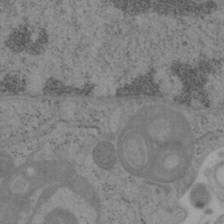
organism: Mouse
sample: OT-I killer T cells with ID8 ovarian cancer cells